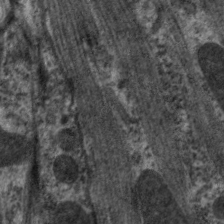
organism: C. elegans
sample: Pharynx